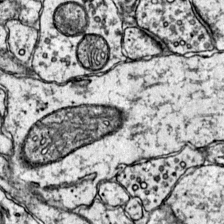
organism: Mouse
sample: Primary visual cortex